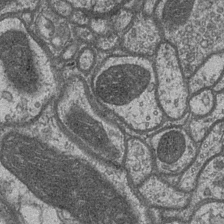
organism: Drosophila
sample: Optic medulla